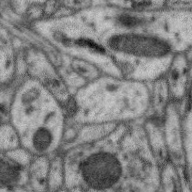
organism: Zebra finch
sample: Brain